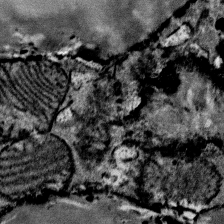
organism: Mouse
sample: Mouse Salivary gland